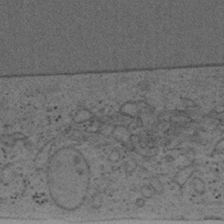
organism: Human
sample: HeLa cells